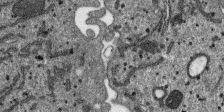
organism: Human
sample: Lung epithelial cells infected with SARS-CoV-2